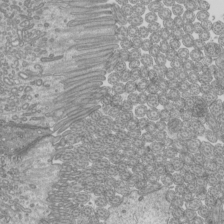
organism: Mouse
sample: Cilia; mouse epididymis